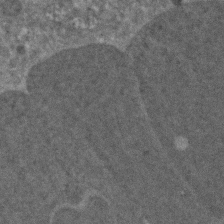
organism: Zebrafish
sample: Zebrafish embryo